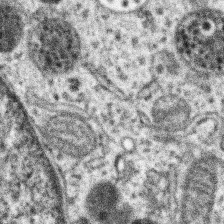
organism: Human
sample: HeLa cells